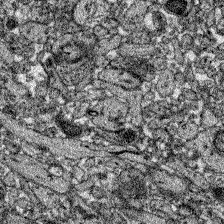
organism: Zebrafish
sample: Larval olfactory bulb